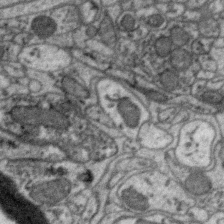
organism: Zebra finch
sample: Brain